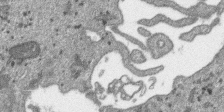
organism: Human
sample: Lung epithelial cells infected with SARS-CoV-2